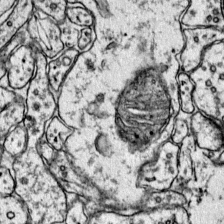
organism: Mouse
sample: Primary visual cortex